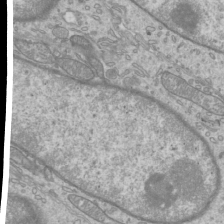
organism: Mouse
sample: Cilia; mouse epididymis